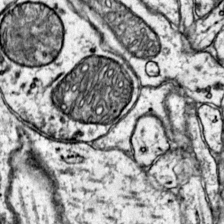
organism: Mouse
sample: Primary visual cortex